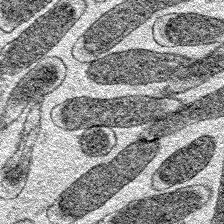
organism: E. coli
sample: E. Coli Bacteria